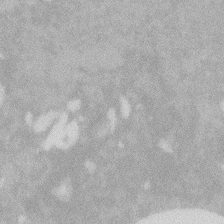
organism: Zebrafish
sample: Macrophage